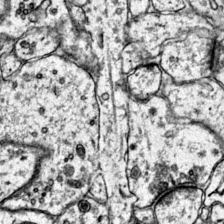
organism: Mouse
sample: Primary visual cortex